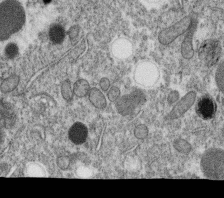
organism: C. elegans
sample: C. elegans oocyte; sperm cells